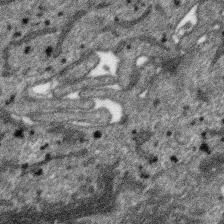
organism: Human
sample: Lung epithelial cells infected with SARS-CoV-2